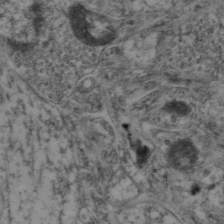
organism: Mouse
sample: Neocortex